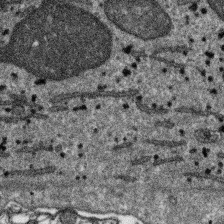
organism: Human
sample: Lung epithelial cells infected with SARS-CoV-2